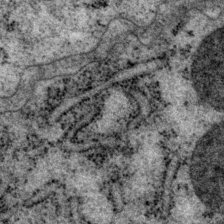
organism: P. pacificus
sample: Pharynx